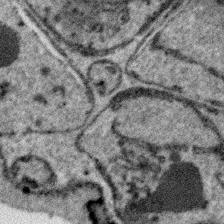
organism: Plasmodium falciparum